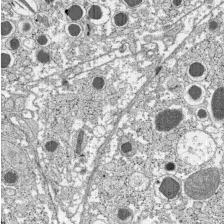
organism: C57BL Mouse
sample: Pancreatic islet